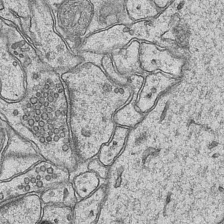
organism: Mouse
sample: CA1 Hippocampus